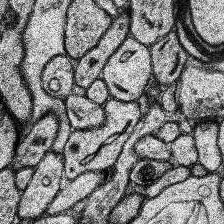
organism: Human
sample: Temporal Lobe